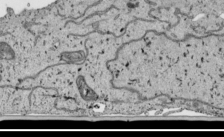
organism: Human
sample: Mitochondria in HCT116 cells